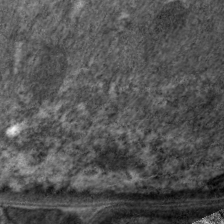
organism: C. elegans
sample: Pharynx